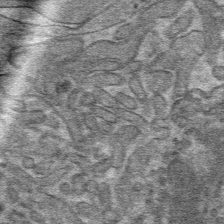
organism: Mouse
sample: Mouse hepatocytes